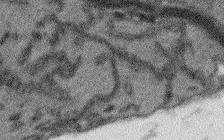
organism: Arabidopsis thaliana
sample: Root tip